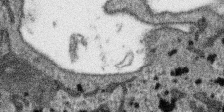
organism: Human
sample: Lung epithelial cells infected with SARS-CoV-2